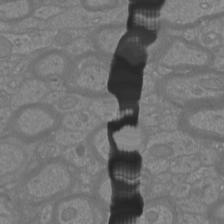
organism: Mouse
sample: Cortical neurons